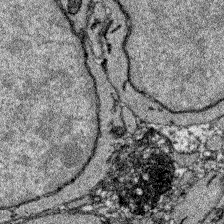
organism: Zebrafish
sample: Larval olfactory bulb